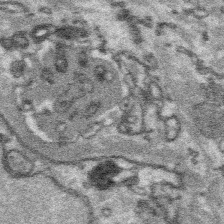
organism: Platynereis dumerilii